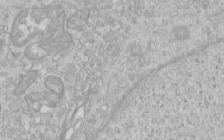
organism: Human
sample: Centriole in RPE cells